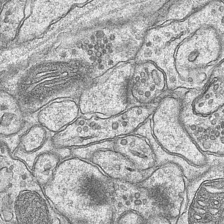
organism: Mouse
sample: CA1 Hippocampus